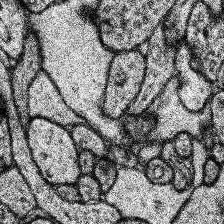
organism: Human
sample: Temporal Lobe